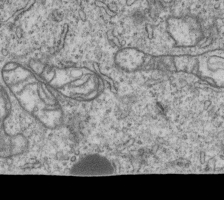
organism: Human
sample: MDA-MB-231 cells